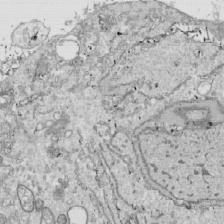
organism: Drosophila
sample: Cell division; meiosis; drosophila spermatocytes